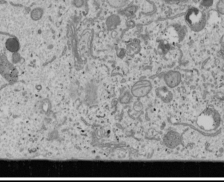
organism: Human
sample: Mitochondria in U2OS cells